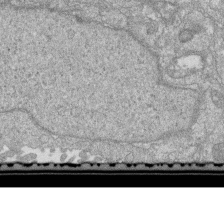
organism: Human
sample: HeLa cell HIV synapse